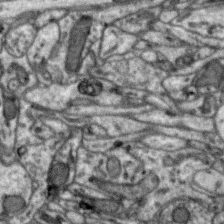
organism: Zebra finch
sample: Brain